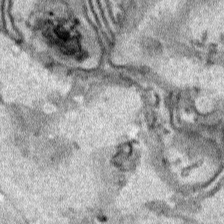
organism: Human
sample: Mitochondria in HCT116 cells